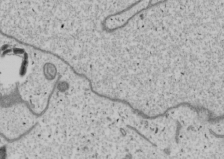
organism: Human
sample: Mitochondria in U2OS cells